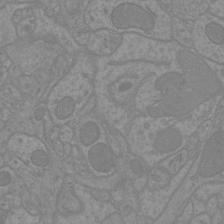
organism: Mouse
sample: Cortical neurons